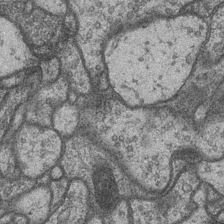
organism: Drosophila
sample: Optic medulla